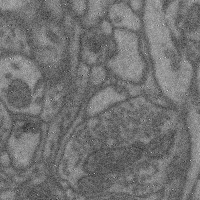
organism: Mouse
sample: Cerebral cortex